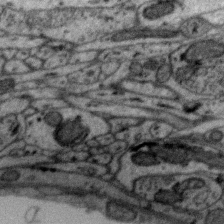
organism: Zebra finch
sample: Brain